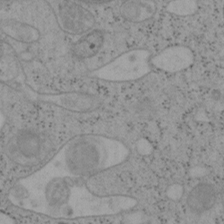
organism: Mouse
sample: OT-I killer T cells with ID8 ovarian cancer cells